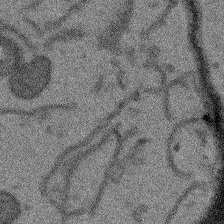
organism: Arabidopsis thaliana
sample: Root tip